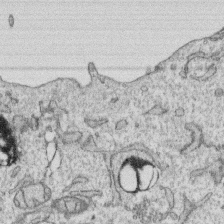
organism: Human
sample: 1205lu cells